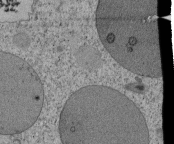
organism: Tetrahymena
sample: Cilia in tetrahymena